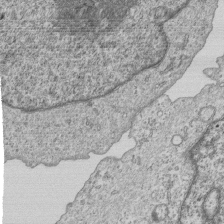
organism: Human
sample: MDA-MB-231 cells